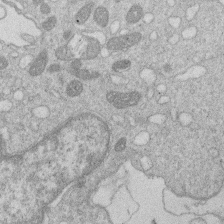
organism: Human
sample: Macrophage cells